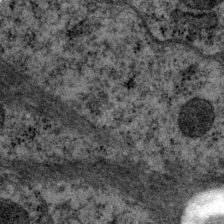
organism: P. pacificus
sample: Pharynx